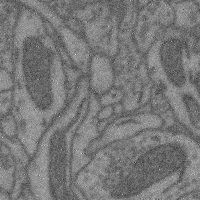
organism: Mouse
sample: Cerebral cortex